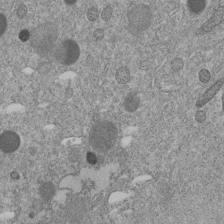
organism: C. elegans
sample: C. elegans embryo early stage